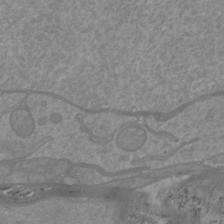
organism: Mouse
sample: Cortical neurons